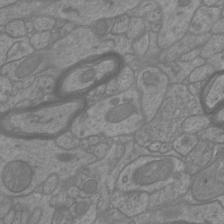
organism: Mouse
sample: Cortical neurons